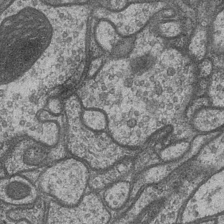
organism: Drosophila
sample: Optic medulla